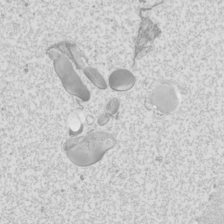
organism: Mouse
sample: Cilia; mouse epididymis